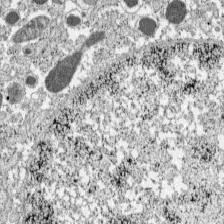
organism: C57BL Mouse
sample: Pancreatic islet